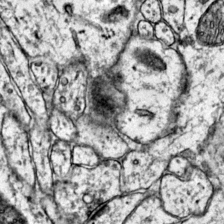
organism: Mouse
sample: Primary visual cortex